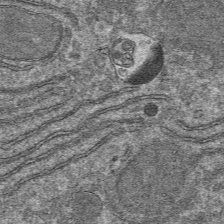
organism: Mouse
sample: Mouse hepatocytes